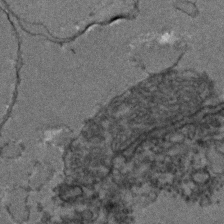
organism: Zebrafish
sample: Zebrafish embryo